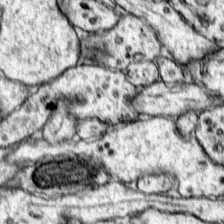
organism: Mouse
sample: Primary visual cortex